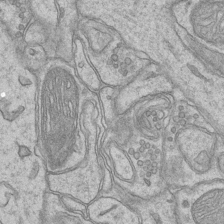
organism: Mouse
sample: CA1 Hippocampus